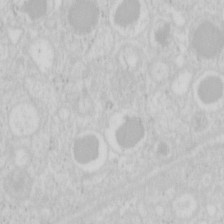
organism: Mouse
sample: Pancreas